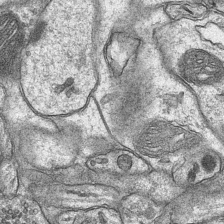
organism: Mouse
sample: CA1 Hippocampus